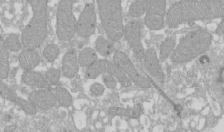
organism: Xenopus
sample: Cilia; centrioles in frog embryo cells